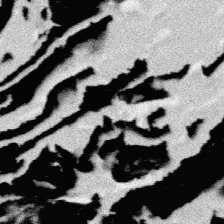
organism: Platynereis dumerilii